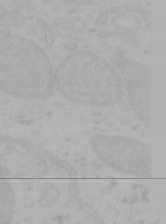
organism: Mouse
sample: Choroid plexus